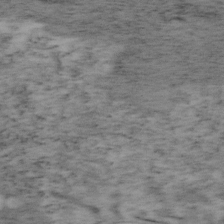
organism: Mouse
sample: OT-I killer T cells with ID8 ovarian cancer cells